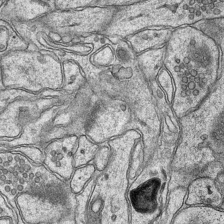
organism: Mouse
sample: CA1 Hippocampus